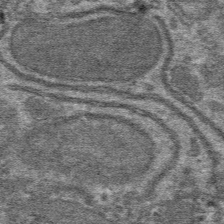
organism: Mouse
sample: Mouse hepatocytes